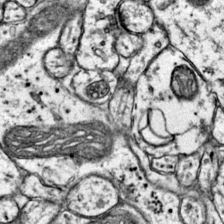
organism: Mouse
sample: Primary visual cortex